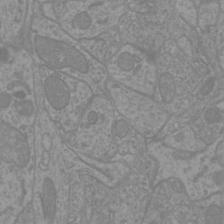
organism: Mouse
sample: Cortical neurons